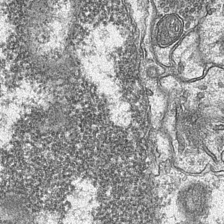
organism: Mouse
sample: CA1 Hippocampus